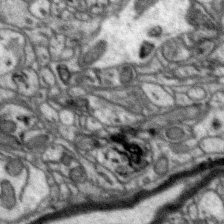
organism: Zebra finch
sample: Brain